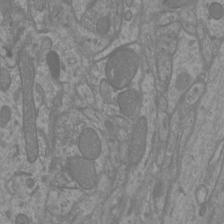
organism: Mouse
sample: Cortical neurons